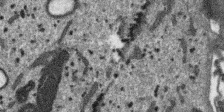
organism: Human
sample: Lung epithelial cells infected with SARS-CoV-2